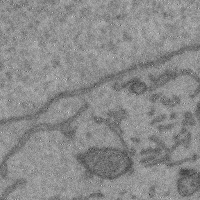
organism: Mouse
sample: Cerebral cortex